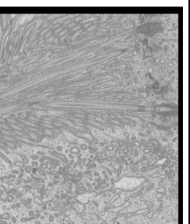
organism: Mouse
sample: Cilia; mouse epididymis